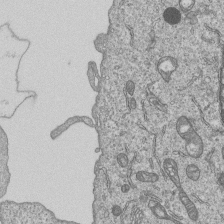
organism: Human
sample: MDA-MB-231 cells